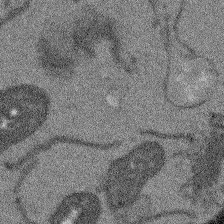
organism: Arabidopsis thaliana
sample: Root tip